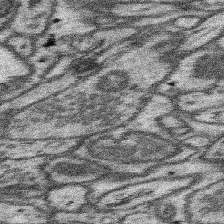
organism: Mouse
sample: Somatosensory cortex neuropil